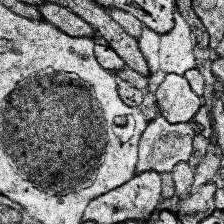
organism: Human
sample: Temporal Lobe